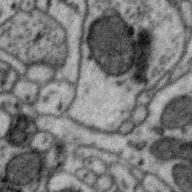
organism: Zebra finch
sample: Brain